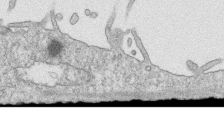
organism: Human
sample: HeLa cell HIV synapse